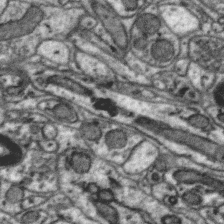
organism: Zebra finch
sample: Brain